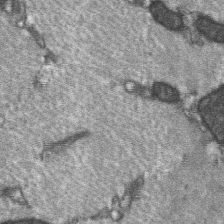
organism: C57BL Mouse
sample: Soleus